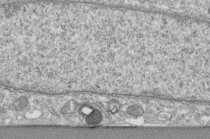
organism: Human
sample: Centriole in fibroblast cells